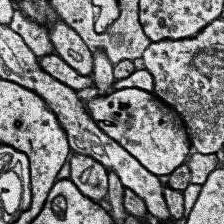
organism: Human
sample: Temporal Lobe